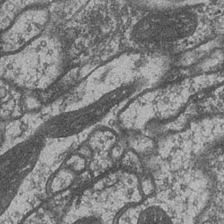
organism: Drosophila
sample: Optic medulla